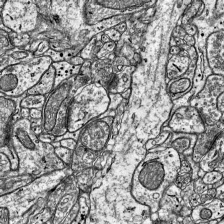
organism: Mouse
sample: Visual Cortex